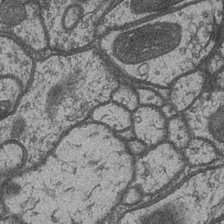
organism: Drosophila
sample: Optic medulla